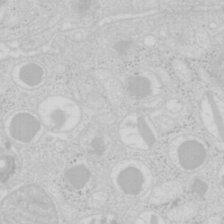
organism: Mouse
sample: Pancreas